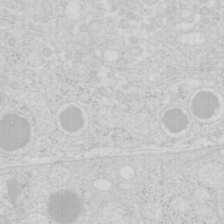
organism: Mouse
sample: Pancreas